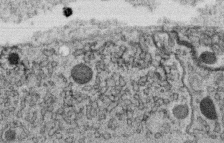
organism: C. elegans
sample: C. elegans oocyte; sperm cells